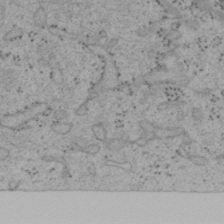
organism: Human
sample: HeLa cells